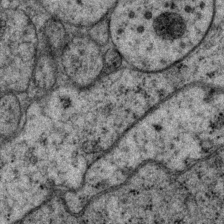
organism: P. pacificus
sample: Pharynx